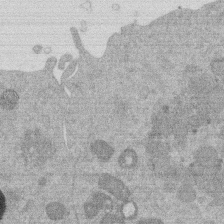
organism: Mouse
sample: Dividing mouse embryo 1 cell stage